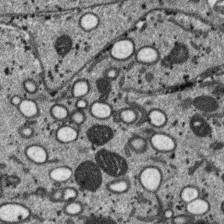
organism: Human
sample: Lung epithelial cells infected with SARS-CoV-2